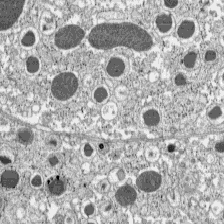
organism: C57BL Mouse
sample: Pancreatic islet